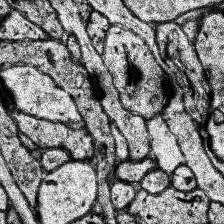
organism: Human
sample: Temporal Lobe